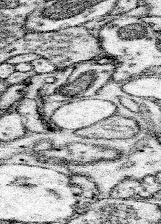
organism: Mouse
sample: Somatosensory cortex neuropil